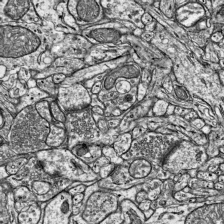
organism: Mouse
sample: Visual Cortex